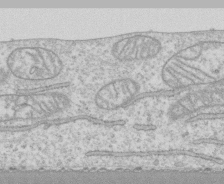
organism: Human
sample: CRL-1474